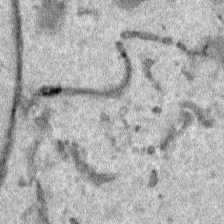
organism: Human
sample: Mitochondria in HCT116 cells